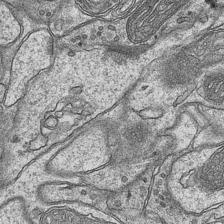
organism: Mouse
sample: CA1 Hippocampus